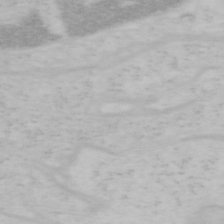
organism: Mouse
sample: OT-I killer T cells with ID8 ovarian cancer cells